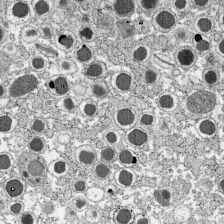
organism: C57BL Mouse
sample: Pancreatic islet